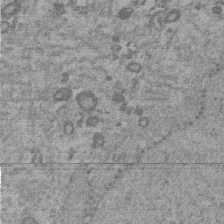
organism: Mouse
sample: Dividing mouse embryo 1 cell stage